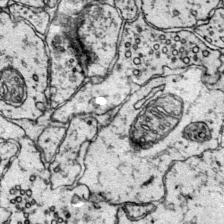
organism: Mouse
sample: Primary visual cortex